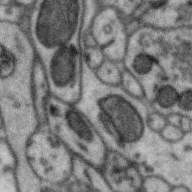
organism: Zebra finch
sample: Brain